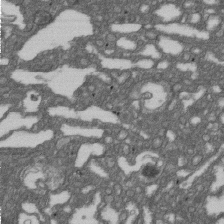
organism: Drosophila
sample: Nephrocyte